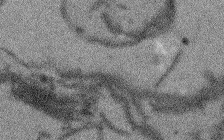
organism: Arabidopsis thaliana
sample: Root tip